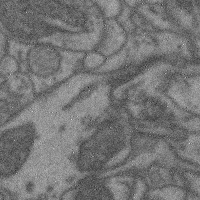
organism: Mouse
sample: Cerebral cortex